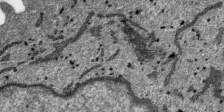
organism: Human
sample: Lung epithelial cells, uninfected (mock) control